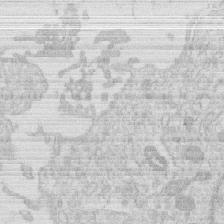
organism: Human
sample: Macrophage cells